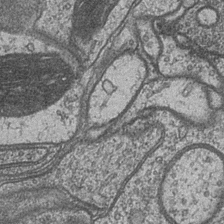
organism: Drosophila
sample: Optic medulla